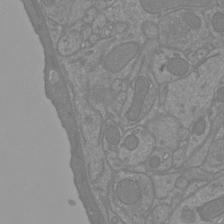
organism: Mouse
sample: Cortical neurons